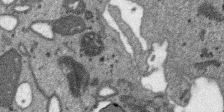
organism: Human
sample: Lung epithelial cells infected with SARS-CoV-2